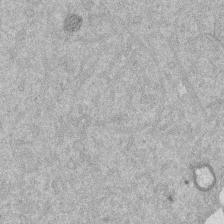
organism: Mouse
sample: Dividing mouse embryo 1 cell stage